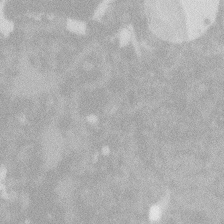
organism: Zebrafish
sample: Macrophage